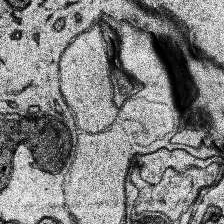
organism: Human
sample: Temporal Lobe